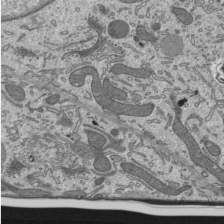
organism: Mouse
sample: Mouse epididymis efferent ductule cilia